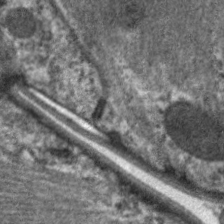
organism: C. elegans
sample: Pharynx